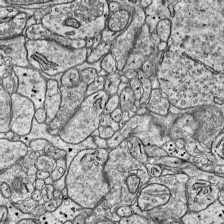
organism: Mouse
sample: Visual Cortex